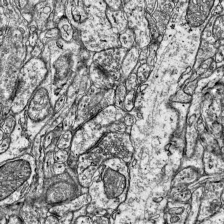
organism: Mouse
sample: Visual Cortex